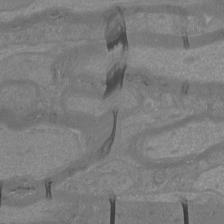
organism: Mouse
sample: Cortical neurons